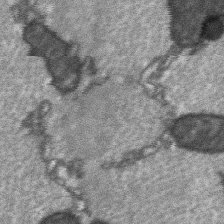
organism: C57BL Mouse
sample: Soleus